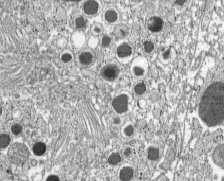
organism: C57BL Mouse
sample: Pancreatic islet